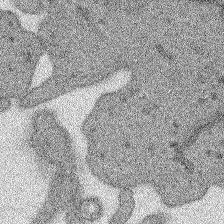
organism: Human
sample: HeLa cells